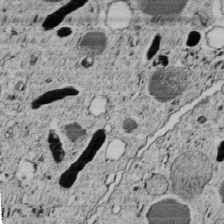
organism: C. elegans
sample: C. elegans embryo early stage